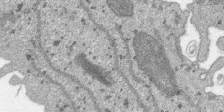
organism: Human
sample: Lung epithelial cells infected with SARS-CoV-2